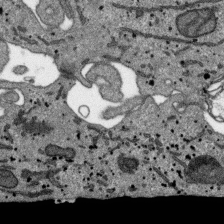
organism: Human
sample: Lung epithelial cells, uninfected (mock) control